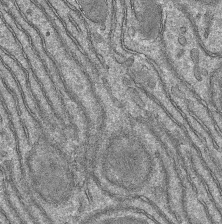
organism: Mouse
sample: Mouse hepatocytes